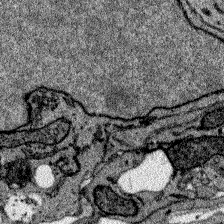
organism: Zebrafish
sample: Larval olfactory bulb